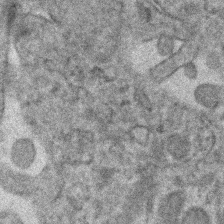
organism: Human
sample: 1205lu cells